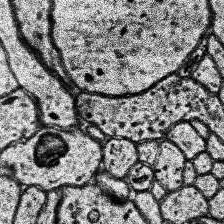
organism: Human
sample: Temporal Lobe